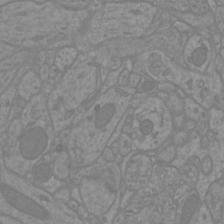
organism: Mouse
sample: Cortical neurons